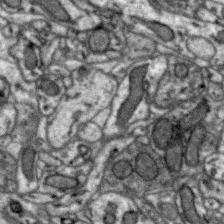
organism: Zebra finch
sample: Brain